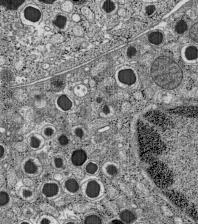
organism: C57BL Mouse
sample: Pancreatic islet